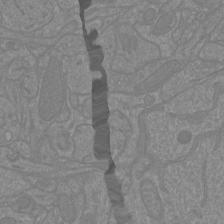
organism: Mouse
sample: Cortical neurons